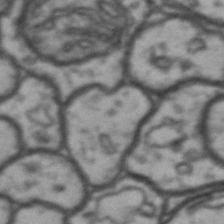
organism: Drosophila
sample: Brain